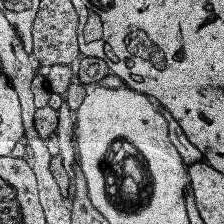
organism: Human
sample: Temporal Lobe